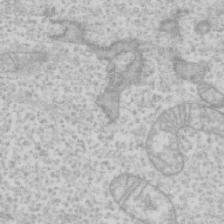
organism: Human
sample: Fibroblast cells